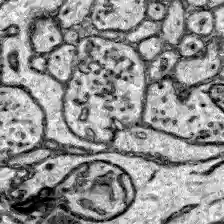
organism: Zebrafish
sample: Brain